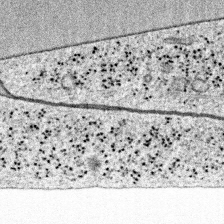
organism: Human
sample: HeLa cells